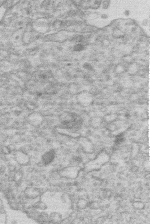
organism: Human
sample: Macrophage cells